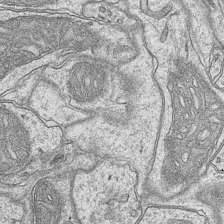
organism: Mouse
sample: CA1 Hippocampus